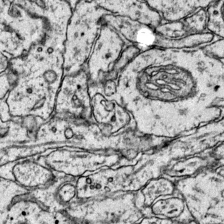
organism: Mouse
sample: Primary visual cortex